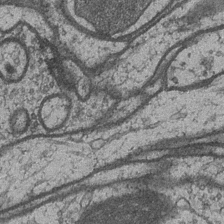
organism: Drosophila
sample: Optic medulla